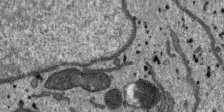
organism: Human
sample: Lung epithelial cells, uninfected (mock) control